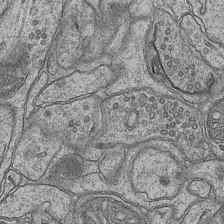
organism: Mouse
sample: CA1 Hippocampus